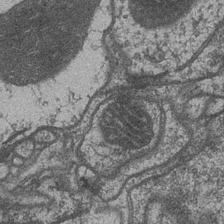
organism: Drosophila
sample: Optic medulla